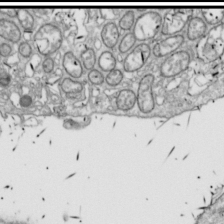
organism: Drosophila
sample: Cell division; meiosis; drosophila spermatocytes